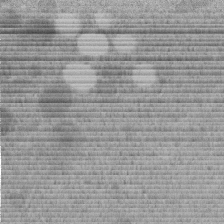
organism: C. elegans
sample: C. elegans embryo early stage